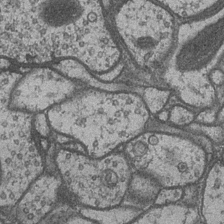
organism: Drosophila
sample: Optic medulla